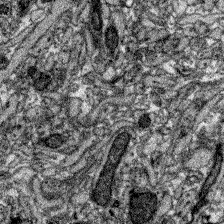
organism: Zebrafish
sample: Larval olfactory bulb